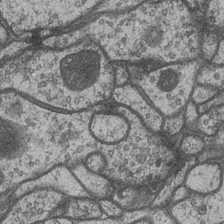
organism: Drosophila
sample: Optic medulla